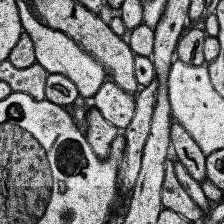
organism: Human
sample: Temporal Lobe